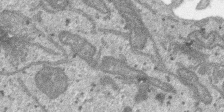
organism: Human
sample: Lung epithelial cells infected with SARS-CoV-2